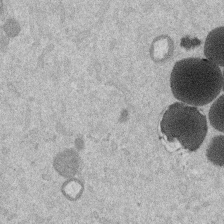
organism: Mouse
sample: Dividing mouse embryo 1 cell stage